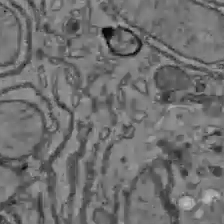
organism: C57BL Mouse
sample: Liver